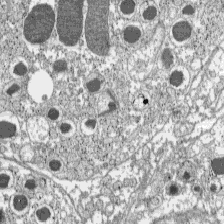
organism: C57BL Mouse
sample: Pancreatic islet